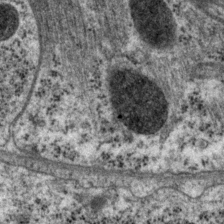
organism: P. pacificus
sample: Pharynx